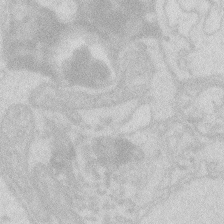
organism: Zebrafish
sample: Macrophage